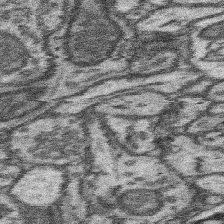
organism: Mouse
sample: Somatosensory cortex neuropil